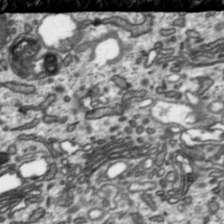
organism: Toxoplasma gondii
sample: Parasites in a vacuole inside a host cell